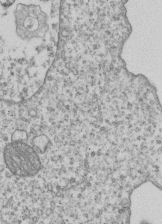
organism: Human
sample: MDA-MB-231 cells